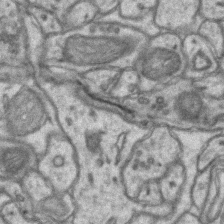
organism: Mouse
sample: CA1 Hippocampus